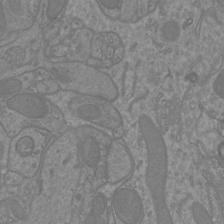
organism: Mouse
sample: Cortical neurons